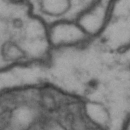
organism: Drosophila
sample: Brain